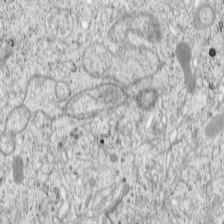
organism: African green monkey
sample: COS-7 cells